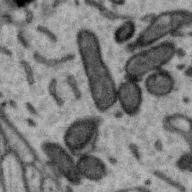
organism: Zebra finch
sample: Brain